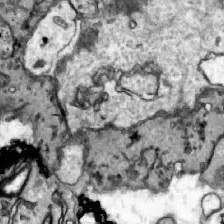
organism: Zebrafish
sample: Actinotrichia fibers